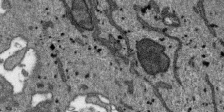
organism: Human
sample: Lung epithelial cells, uninfected (mock) control